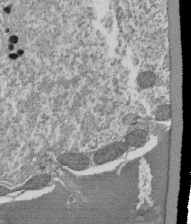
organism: Tetrahymena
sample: Cilia in tetrahymena